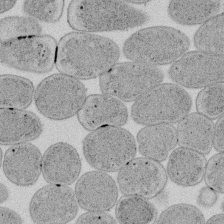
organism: E. coli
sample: Bacterial nucleoid